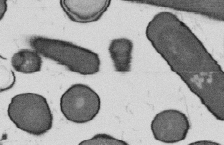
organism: B. subtilis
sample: Bacterial spore